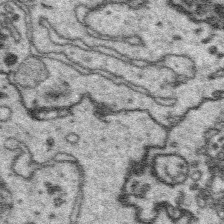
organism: Platynereis dumerilii